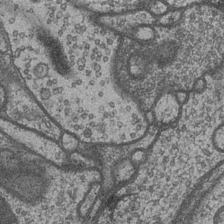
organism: Drosophila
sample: Optic medulla